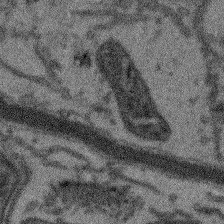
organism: Arabidopsis thaliana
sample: Root tip